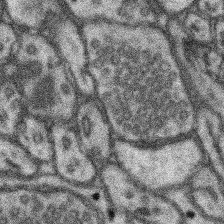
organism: Mouse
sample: Somatosensory cortex neuropil